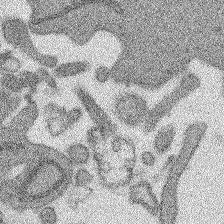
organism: Human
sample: HeLa cells